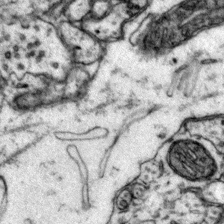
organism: Mouse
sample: Primary visual cortex